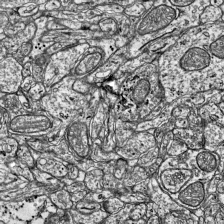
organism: Mouse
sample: Visual Cortex